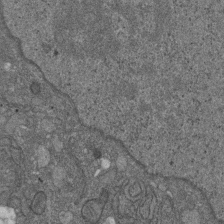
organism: Drosophila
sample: Nephrocyte